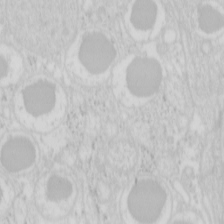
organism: Mouse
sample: Pancreas